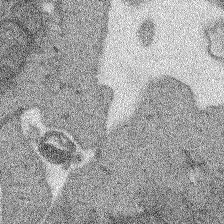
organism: Human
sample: HeLa cells